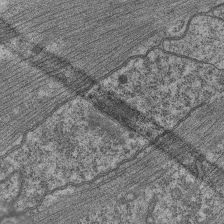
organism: C. elegans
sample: Pharynx